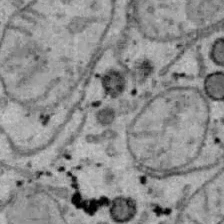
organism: Mouse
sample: Liver from an obese (ob/ob) mouse